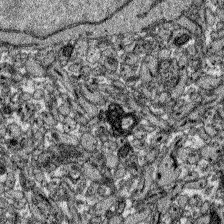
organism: Zebrafish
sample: Larval olfactory bulb